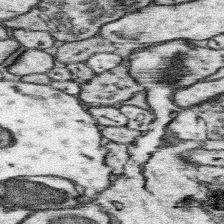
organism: Mouse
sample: Somatosensory cortex neuropil